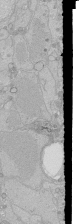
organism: Human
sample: Caco-2 cells